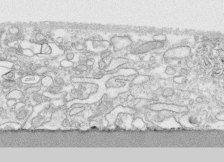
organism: Human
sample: CRL-1474